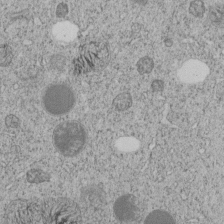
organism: C. elegans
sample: C. elegans embryo early stage